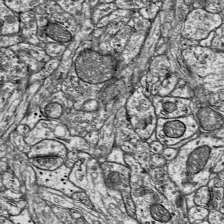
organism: Mouse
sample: Visual Cortex